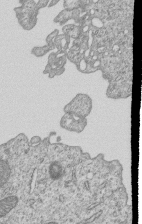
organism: Human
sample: MDA-MB-231 cells